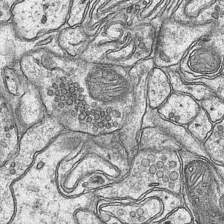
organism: Mouse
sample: CA1 Hippocampus